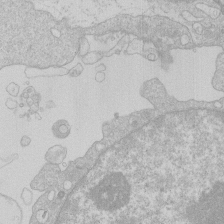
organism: Human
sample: Macrophage cells